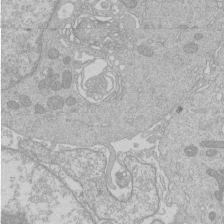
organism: Human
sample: Macrophage cells